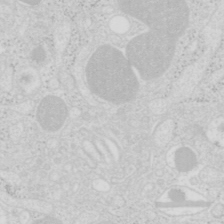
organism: Mouse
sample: Pancreas